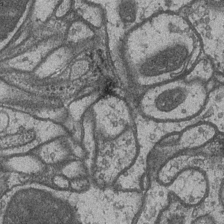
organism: Drosophila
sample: Optic medulla